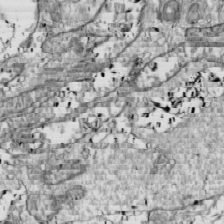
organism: Drosophila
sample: Cell division; meiosis; drosophila spermatocytes